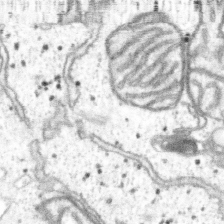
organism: Human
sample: HeLa cells